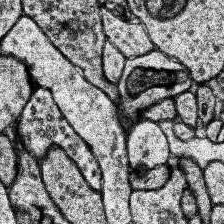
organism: Human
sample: Temporal Lobe